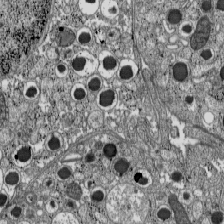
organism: C57BL Mouse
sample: Pancreatic islet